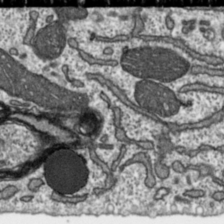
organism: Toxoplasma gondii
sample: Parasites in a vacuole inside a host cell